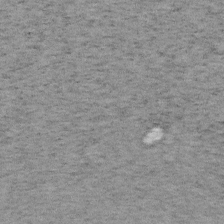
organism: Mouse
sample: OT-I killer T cells with ID8 ovarian cancer cells